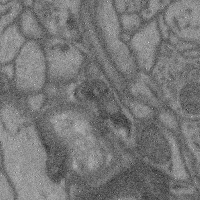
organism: Mouse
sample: Cerebral cortex